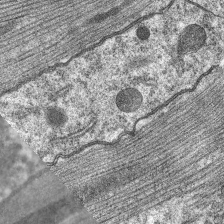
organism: C. elegans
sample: Pharynx